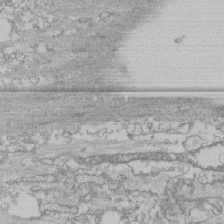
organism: Human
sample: CRL-1474